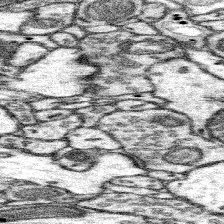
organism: Mouse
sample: Somatosensory cortex neuropil